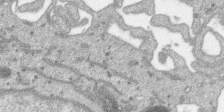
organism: Human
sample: Lung epithelial cells infected with SARS-CoV-2